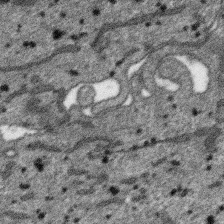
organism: Human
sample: Lung epithelial cells infected with SARS-CoV-2